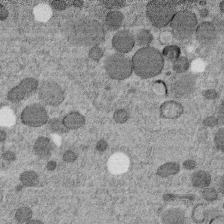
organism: C. elegans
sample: C. elegans embryo early stage